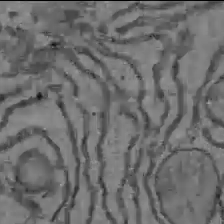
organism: C57BL Mouse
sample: Liver